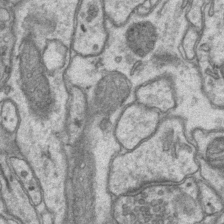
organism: Mouse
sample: CA1 Hippocampus